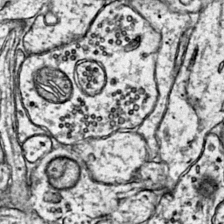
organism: Mouse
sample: Primary visual cortex